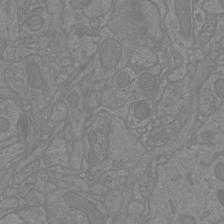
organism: Mouse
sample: Cortical neurons